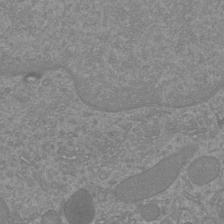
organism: Mouse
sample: Cortical neurons